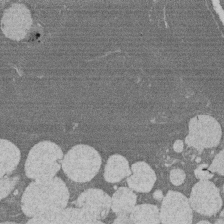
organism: Rat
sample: Salivary granule